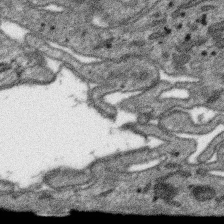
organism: Human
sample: Lung epithelial cells infected with SARS-CoV-2